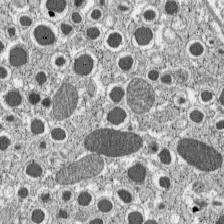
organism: C57BL Mouse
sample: Pancreatic islet